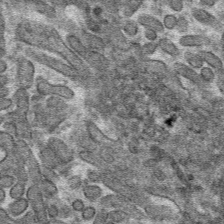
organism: Mouse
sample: Mouse hepatocytes